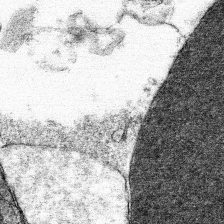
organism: Mouse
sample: Mouse hepatocytes